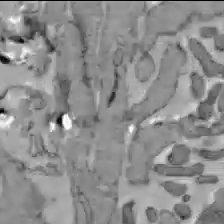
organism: C57BL Mouse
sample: Liver